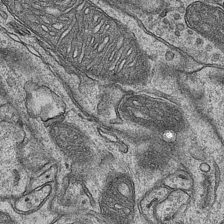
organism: Mouse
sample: CA1 Hippocampus